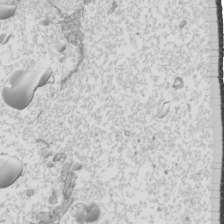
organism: Mouse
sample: Cilia; mouse epididymis